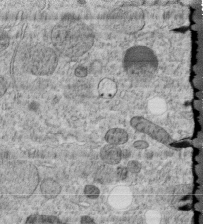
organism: C. elegans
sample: C. elegans embryo early stage